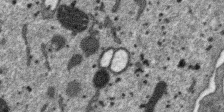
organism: Human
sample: Lung epithelial cells infected with SARS-CoV-2